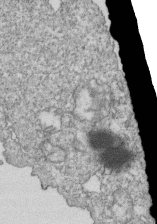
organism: Human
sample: HeLa cell HIV synapse